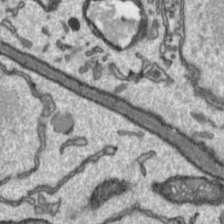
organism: Toxoplasma gondii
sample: Parasites in a vacuole inside a host cell